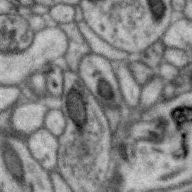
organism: Zebra finch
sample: Brain